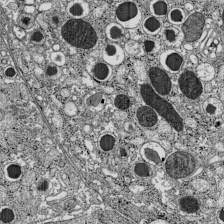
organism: C57BL Mouse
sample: Pancreatic islet